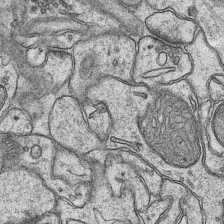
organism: Mouse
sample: CA1 Hippocampus